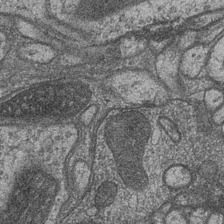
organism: Drosophila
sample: Optic medulla